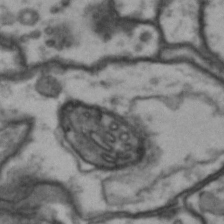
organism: Drosophila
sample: Brain